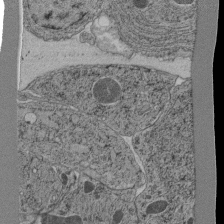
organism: C. elegans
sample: C. elegans pharynx